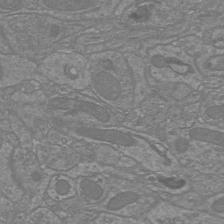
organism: Mouse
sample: Cortical neurons